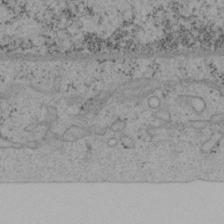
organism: Human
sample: HeLa cells